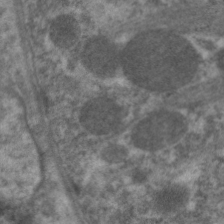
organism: C. elegans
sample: Pharynx